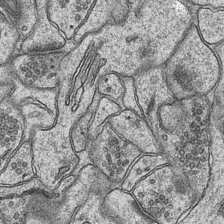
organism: Mouse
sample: CA1 Hippocampus